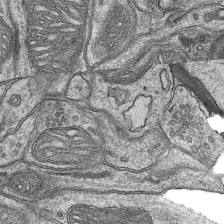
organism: Mouse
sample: CA1 Hippocampus